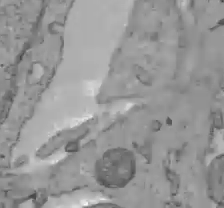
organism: C57BL Mouse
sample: Liver